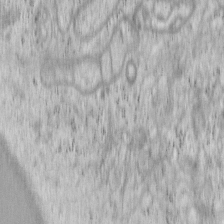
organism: Human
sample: HeLa cells